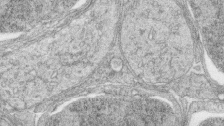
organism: Zebrafish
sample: synaptic ribbons in rod cells and cone cells